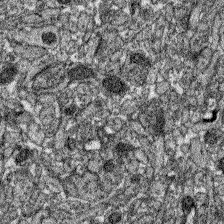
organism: Zebrafish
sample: Larval olfactory bulb